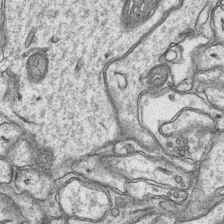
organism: Mouse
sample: CA1 Hippocampus